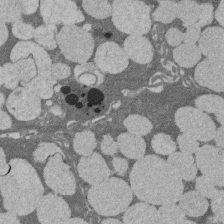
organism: Rat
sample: Salivary granule